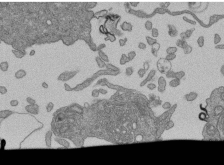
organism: Human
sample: Retinal organoid Rod and Cone cells